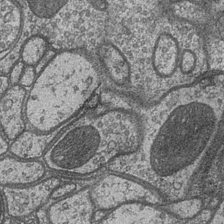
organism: Drosophila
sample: Optic medulla